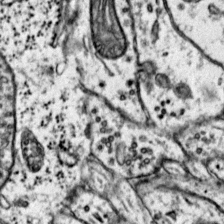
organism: Mouse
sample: Primary visual cortex